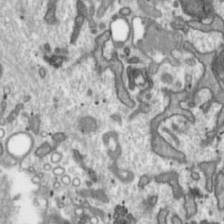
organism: Toxoplasma gondii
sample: Parasites in a vacuole inside a host cell